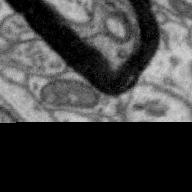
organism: Zebra finch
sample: Brain